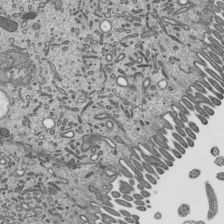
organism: Mouse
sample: Mouse epididymis efferent ductule cilia